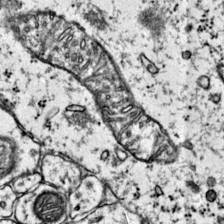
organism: Mouse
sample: Primary visual cortex